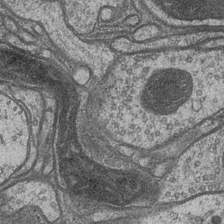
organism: Drosophila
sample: Optic medulla